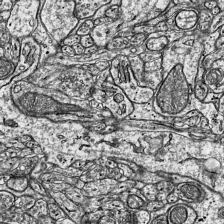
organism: Mouse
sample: Visual Cortex